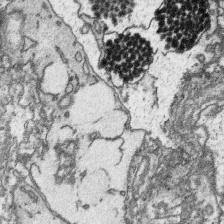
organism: Platynereis dumerilii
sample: Parapodia